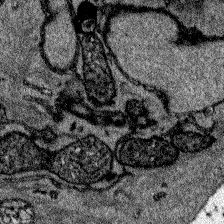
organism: Zebrafish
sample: Larval olfactory bulb